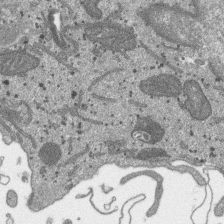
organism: Human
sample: Lung epithelial cells infected with SARS-CoV-2